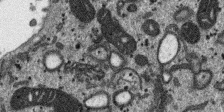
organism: Human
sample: Lung epithelial cells infected with SARS-CoV-2